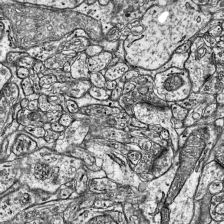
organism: Mouse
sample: Visual Cortex